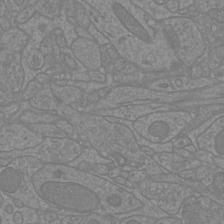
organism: Mouse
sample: Cortical neurons